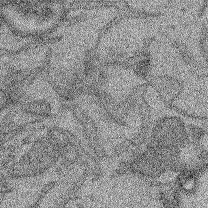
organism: Human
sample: HeLa cells